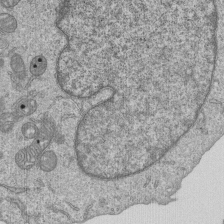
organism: Human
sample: MDA-MB-231 cells